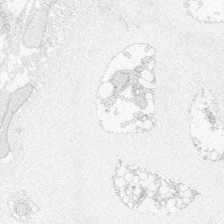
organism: Zebrafish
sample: Whole-Brain